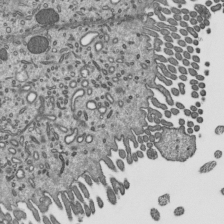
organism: Mouse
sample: Mouse epididymis efferent ductule cilia